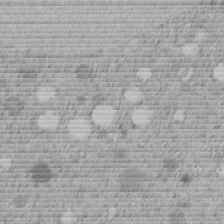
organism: C. elegans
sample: C. elegans embryo early stage